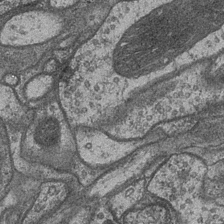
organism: Drosophila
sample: Optic medulla